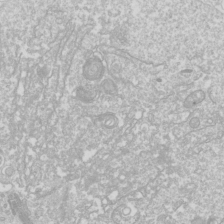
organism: Drosophila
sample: Cell division; meiosis; drosophila spermatocytes